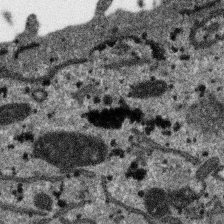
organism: Human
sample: Lung epithelial cells infected with SARS-CoV-2